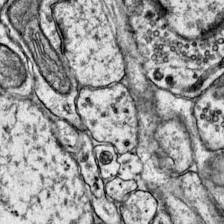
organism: Mouse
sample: Primary visual cortex